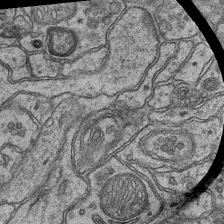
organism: Mouse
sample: CA1 Hippocampus